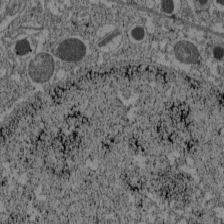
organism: C57BL Mouse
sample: Pancreatic islet